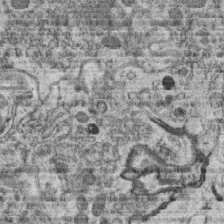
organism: C. elegans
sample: C. elegans oocyte; sperm cells